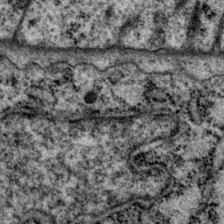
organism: P. pacificus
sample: Pharynx